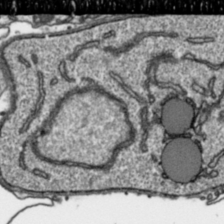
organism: Toxoplasma gondii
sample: Parasites in a vacuole inside a host cell